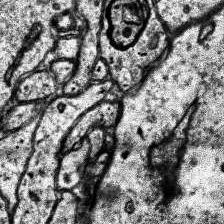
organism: Human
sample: Temporal Lobe